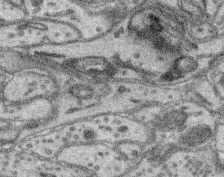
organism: Mouse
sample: Retina